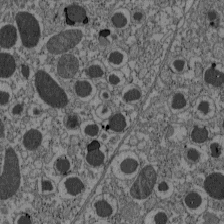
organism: C57BL Mouse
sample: Pancreatic islet